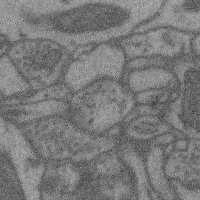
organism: Mouse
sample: Cerebral cortex